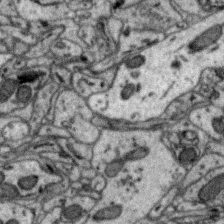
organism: Zebra finch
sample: Brain